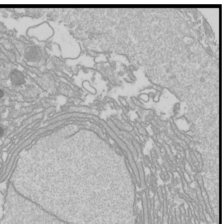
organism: Drosophila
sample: Cell division; meiosis; drosophila spermatocytes